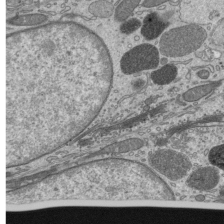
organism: Mouse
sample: Mouse epididymis efferent ductule cilia